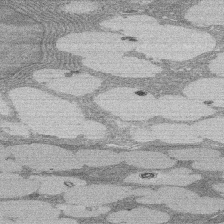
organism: Rat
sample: Salivary granule